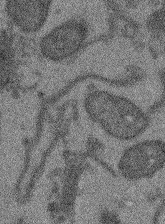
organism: Arabidopsis thaliana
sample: Root tip